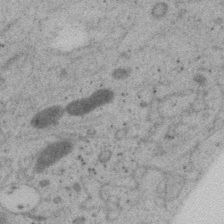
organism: Human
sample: HeLa cells